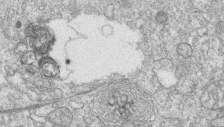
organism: Human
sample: HeLa cell HIV synapse